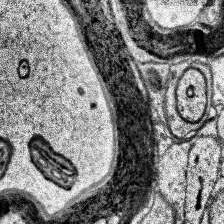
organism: Human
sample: Temporal Lobe